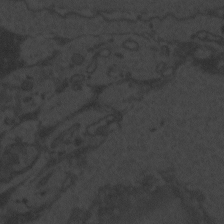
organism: Zebrafish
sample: Macrophage infected with Toxoplasma gondii